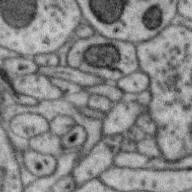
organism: Zebra finch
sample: Brain